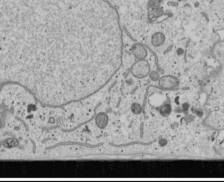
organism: Human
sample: Mitochondria in U2OS cells